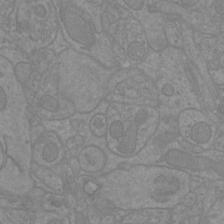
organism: Mouse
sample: Cortical neurons